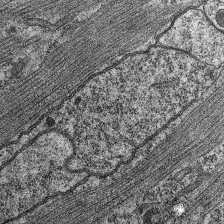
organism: C. elegans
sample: Pharynx